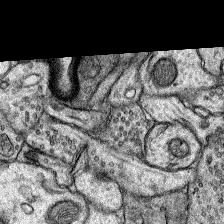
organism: Rat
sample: Hippocampus